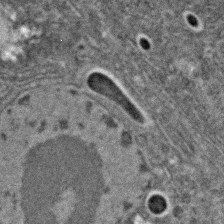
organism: C. elegans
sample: C. elegans embryo